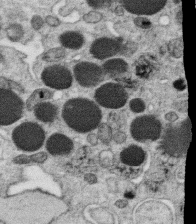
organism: C. elegans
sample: C. elegans oocyte; sperm cells